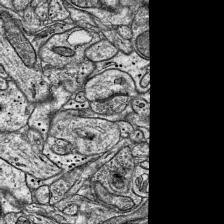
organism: Mouse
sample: Visual Cortex